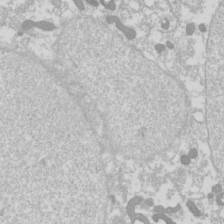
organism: Drosophila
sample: Cell division; meiosis; drosophila spermatocytes